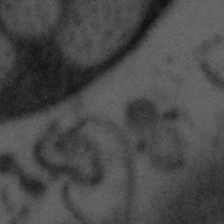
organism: Tuwongella immobilis